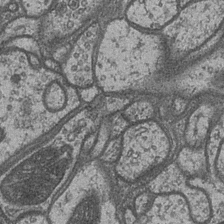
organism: Drosophila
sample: Optic medulla